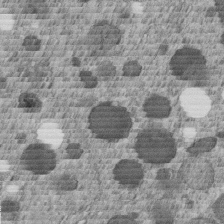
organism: C. elegans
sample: C. elegans embryo early stage